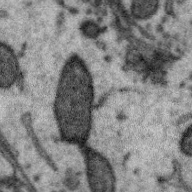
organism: Zebra finch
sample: Brain